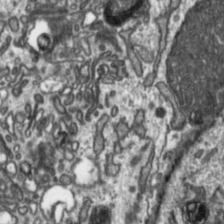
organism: Toxoplasma gondii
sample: Parasites in a vacuole inside a host cell